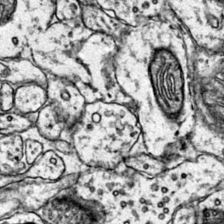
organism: Mouse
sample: Primary visual cortex